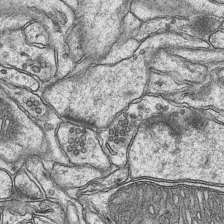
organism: Mouse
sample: CA1 Hippocampus